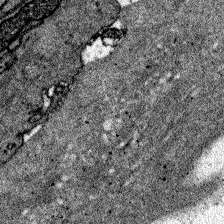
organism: Zebrafish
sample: Larval olfactory bulb